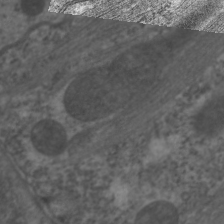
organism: C. elegans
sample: Pharynx